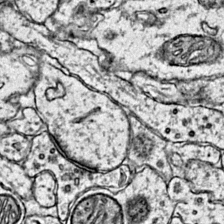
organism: Mouse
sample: Primary visual cortex